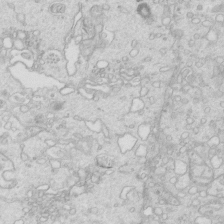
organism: Mouse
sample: Multiciliated cells